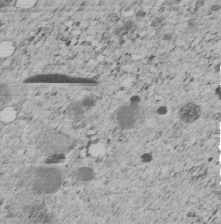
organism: C. elegans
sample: C. elegans embryo early stage